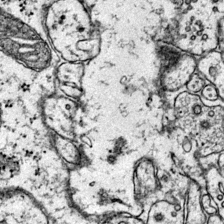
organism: Mouse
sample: Primary visual cortex